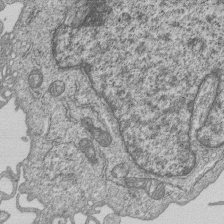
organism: Human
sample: MDA-MB-231 cells